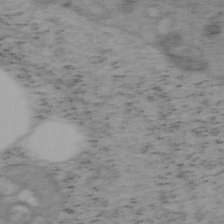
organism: Mouse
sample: OT-I killer T cells with ID8 ovarian cancer cells